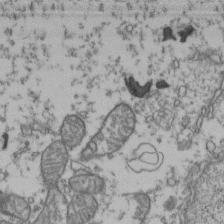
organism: Human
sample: Activated Jurkat CD4+ T cells